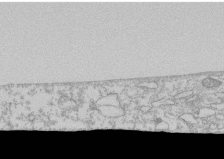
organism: Human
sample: CRL-1474